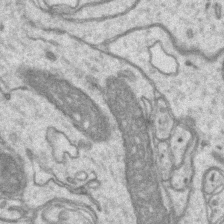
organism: Mouse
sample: CA1 Hippocampus